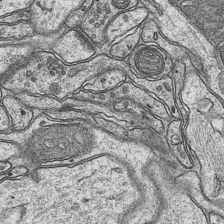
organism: Mouse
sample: CA1 Hippocampus